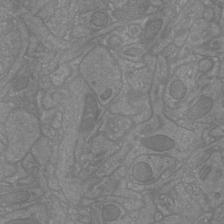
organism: Mouse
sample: Cortical neurons